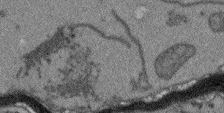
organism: Arabidopsis thaliana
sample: Root tip